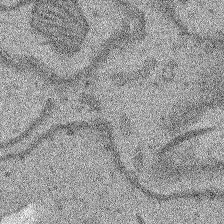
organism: Human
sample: HeLa cells